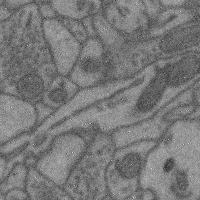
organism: Mouse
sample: Cerebral cortex